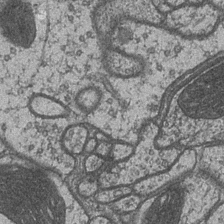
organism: Drosophila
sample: Optic medulla